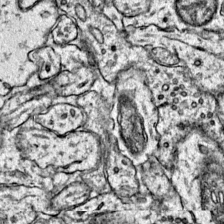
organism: Mouse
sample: Primary visual cortex